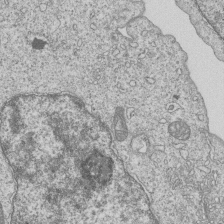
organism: Human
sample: MDA-MB-231 cells